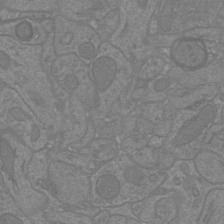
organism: Mouse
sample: Cortical neurons